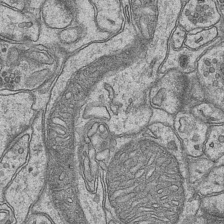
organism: Mouse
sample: CA1 Hippocampus